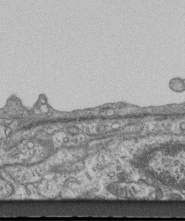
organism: Mouse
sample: Centriole in ependymal cells